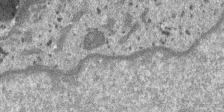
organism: Human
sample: Lung epithelial cells infected with SARS-CoV-2